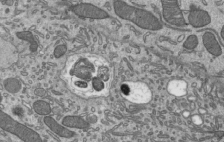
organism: Mouse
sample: Mouse epididymis efferent ductule cilia